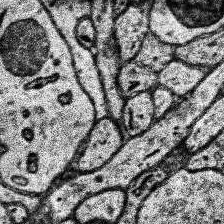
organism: Human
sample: Temporal Lobe